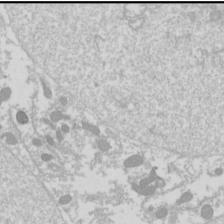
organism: Drosophila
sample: Cell division; meiosis; drosophila spermatocytes